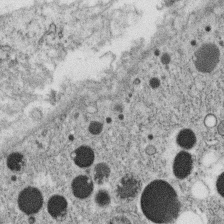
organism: C. elegans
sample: C. elegans oocyte; sperm cells